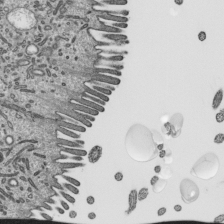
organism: Mouse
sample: Mouse epididymis efferent ductule cilia